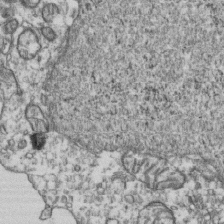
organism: Human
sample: Activated Jurkat CD4+ T cells